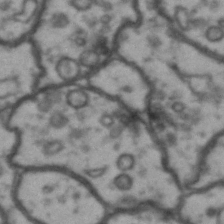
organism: Drosophila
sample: Brain